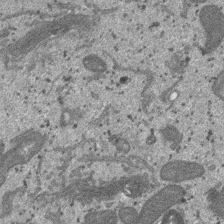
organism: Human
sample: Lung epithelial cells infected with SARS-CoV-2